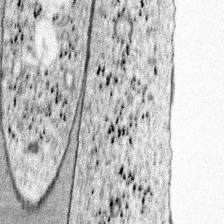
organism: Human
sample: HeLa cells